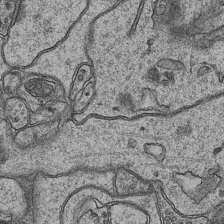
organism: Mouse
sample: CA1 Hippocampus